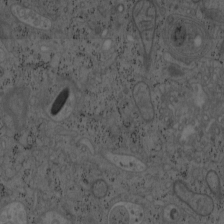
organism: Mouse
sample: OT-I killer T cells with ID8 ovarian cancer cells